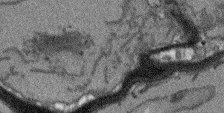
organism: Arabidopsis thaliana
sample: Root tip